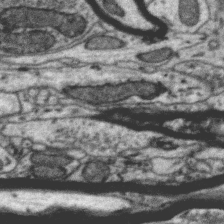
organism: Zebra finch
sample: Brain